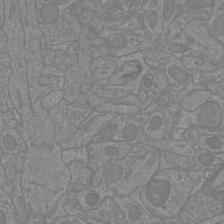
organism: Mouse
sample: Cortical neurons